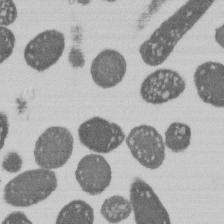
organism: E. coli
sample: Bacterial nucleoid